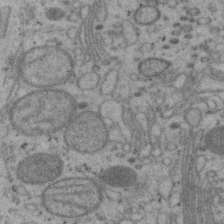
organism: Human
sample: HeLa cells